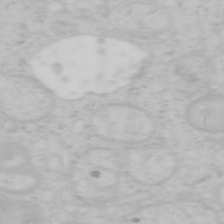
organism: Mouse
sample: OT-I killer T cells with ID8 ovarian cancer cells